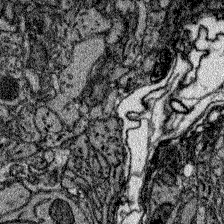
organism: Zebrafish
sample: Larval olfactory bulb